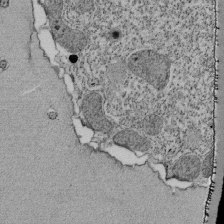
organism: Tetrahymena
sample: Cilia in tetrahymena